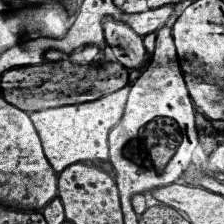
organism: Human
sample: Temporal Lobe